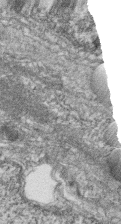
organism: Zebrafish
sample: Cilia; retinal pigment epithelium